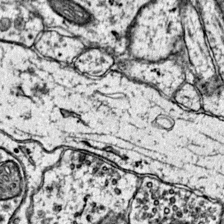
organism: Mouse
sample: Primary visual cortex